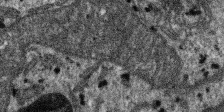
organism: Human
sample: Lung epithelial cells infected with SARS-CoV-2